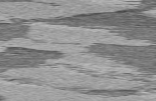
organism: C57BL Mouse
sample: Heart